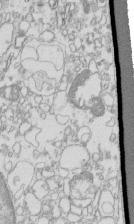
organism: Mouse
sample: Macrophages